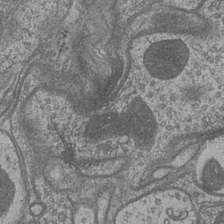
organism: Drosophila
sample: Optic medulla